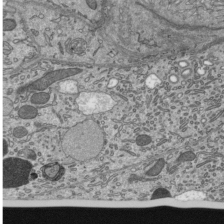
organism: Mouse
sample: Mouse epididymis efferent ductule cilia